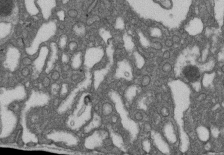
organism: Drosophila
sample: Nephrocyte